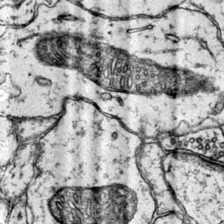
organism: Mouse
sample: Primary visual cortex